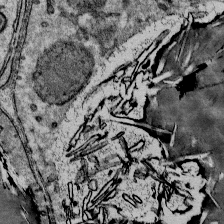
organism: Mouse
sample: Mouse Salivary gland